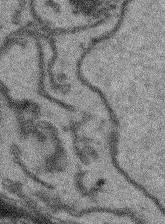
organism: Arabidopsis thaliana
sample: Root tip